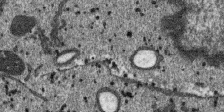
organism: Human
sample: Lung epithelial cells infected with SARS-CoV-2